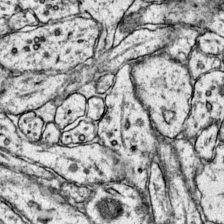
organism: Mouse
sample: Primary visual cortex